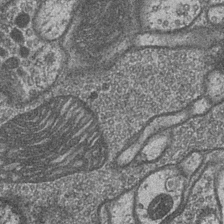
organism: Drosophila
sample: Optic medulla